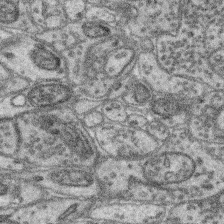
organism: Mouse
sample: Retina